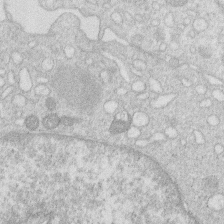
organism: Human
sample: Macrophage cells